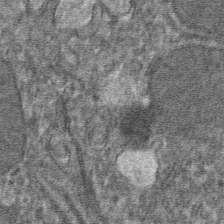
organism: Mouse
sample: Mouse hepatocytes